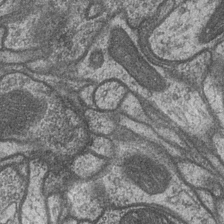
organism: Drosophila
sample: Optic medulla